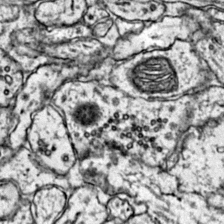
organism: Mouse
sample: Primary visual cortex